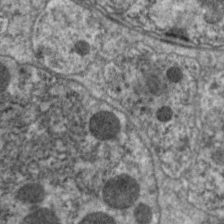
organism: C. elegans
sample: Pharynx